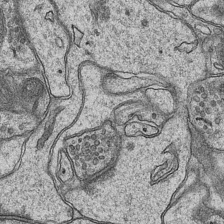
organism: Mouse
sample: CA1 Hippocampus